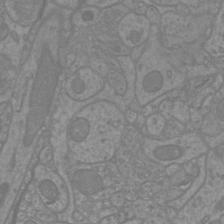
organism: Mouse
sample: Cortical neurons